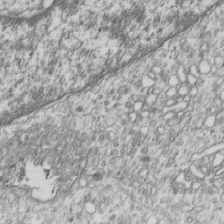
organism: Human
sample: MDA-MB-231 cells